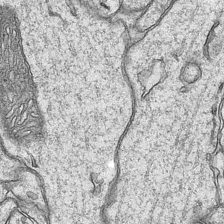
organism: Mouse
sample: CA1 Hippocampus